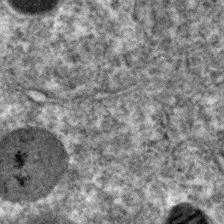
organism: C. elegans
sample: C. elegans embryo